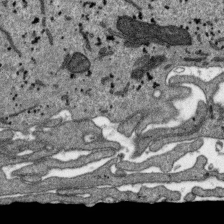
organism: Human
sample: Lung epithelial cells, uninfected (mock) control